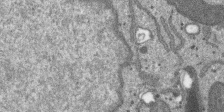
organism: Human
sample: Lung epithelial cells infected with SARS-CoV-2